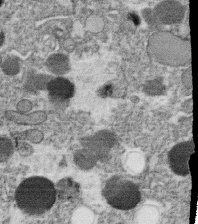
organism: C. elegans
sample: C. elegans oocyte; sperm cells